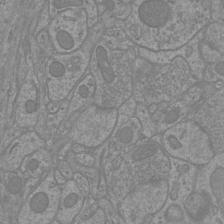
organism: Mouse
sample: Cortical neurons